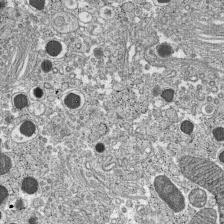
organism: C57BL Mouse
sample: Pancreatic islet